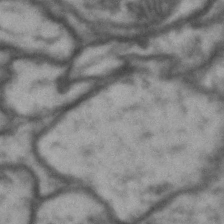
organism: Drosophila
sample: Brain